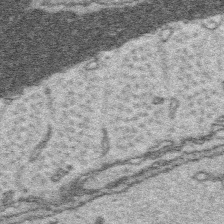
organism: Platynereis dumerilii